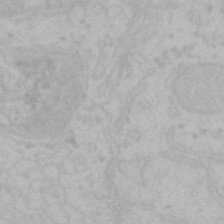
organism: Mouse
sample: Choroid plexus